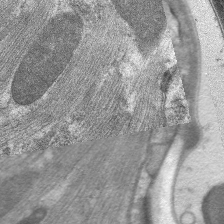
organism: C. elegans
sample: Pharynx